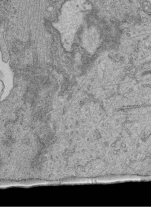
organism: Human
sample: Retinal organoid Rod and Cone cells